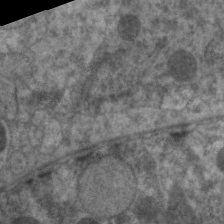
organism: C. elegans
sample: Pharynx